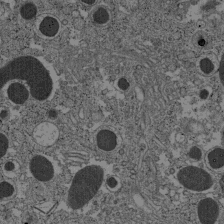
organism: C57BL Mouse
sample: Pancreatic islet